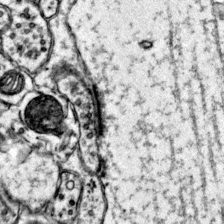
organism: Mouse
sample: Primary visual cortex